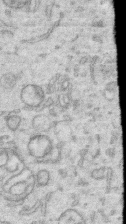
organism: Human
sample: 1205lu cells